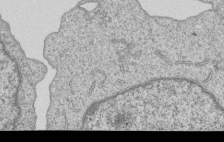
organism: Human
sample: MDA-MB-231 cells